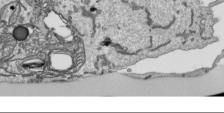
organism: Human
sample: Mitochondria in HCT116 cells